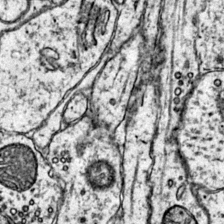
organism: Mouse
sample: Primary visual cortex